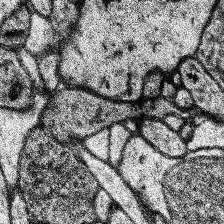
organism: Human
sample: Temporal Lobe